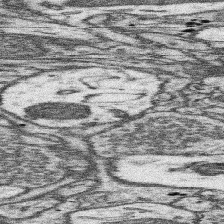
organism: Mouse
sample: Somatosensory cortex neuropil